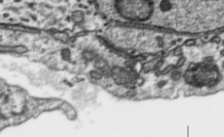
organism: Toxoplasma gondii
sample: Parasites in a vacuole inside a host cell